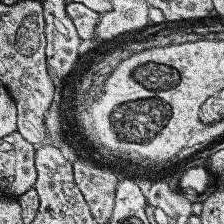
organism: Human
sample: Temporal Lobe